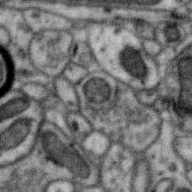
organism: Zebra finch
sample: Brain